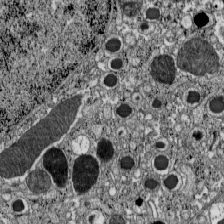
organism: C57BL Mouse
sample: Pancreatic islet